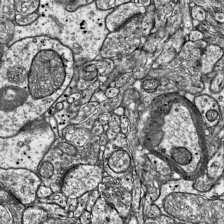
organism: Mouse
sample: Visual Cortex